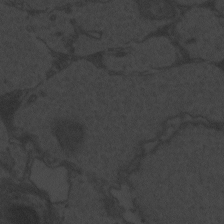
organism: Zebrafish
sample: Macrophage infected with Toxoplasma gondii